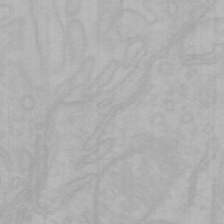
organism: Mouse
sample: Choroid plexus